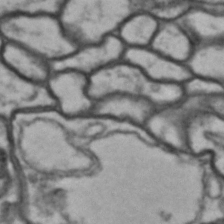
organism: Drosophila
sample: Brain